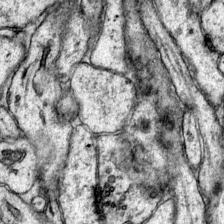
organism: Mouse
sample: Primary visual cortex